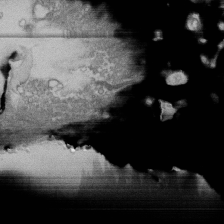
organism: Human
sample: Fibroblast cells